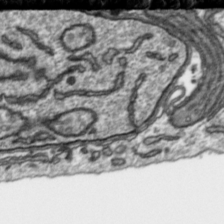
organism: Toxoplasma gondii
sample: Parasites in a vacuole inside a host cell